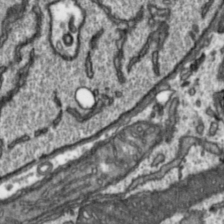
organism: Toxoplasma gondii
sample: Parasites in a vacuole inside a host cell